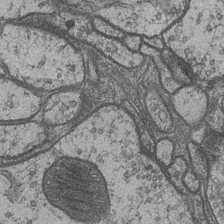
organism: Drosophila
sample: Optic medulla